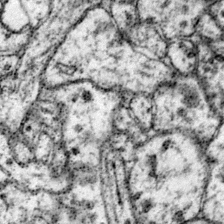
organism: Mouse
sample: Primary visual cortex